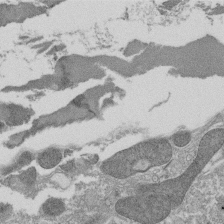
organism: Tetrahymena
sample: Cilia in tetrahymena